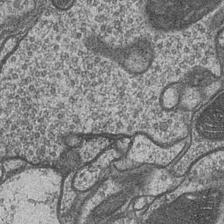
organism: Drosophila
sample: Optic medulla